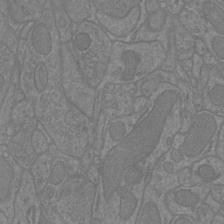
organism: Mouse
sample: Cortical neurons